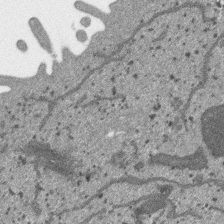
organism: Human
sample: Lung epithelial cells infected with SARS-CoV-2